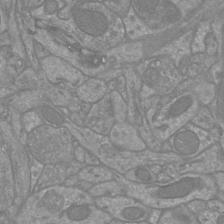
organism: Mouse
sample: Cortical neurons